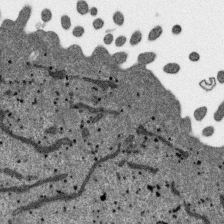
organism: Human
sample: Lung epithelial cells, uninfected (mock) control